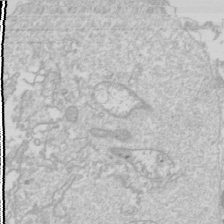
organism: Drosophila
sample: Cell division; meiosis; drosophila spermatocytes